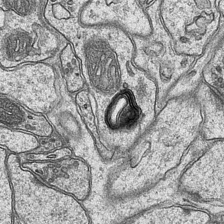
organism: Mouse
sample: CA1 Hippocampus